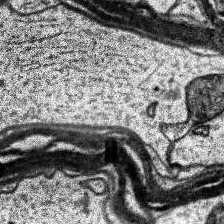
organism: Human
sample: Temporal Lobe